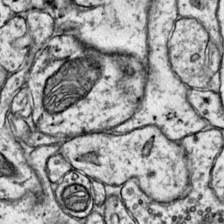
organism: Mouse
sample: Primary visual cortex